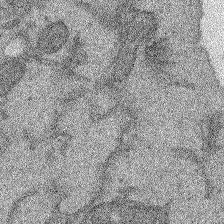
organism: Human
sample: HeLa cells